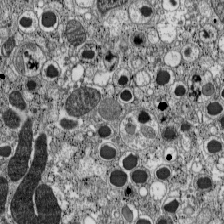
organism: C57BL Mouse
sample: Pancreatic islet